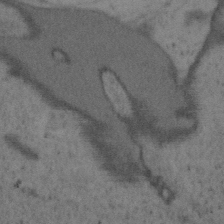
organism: Human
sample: HeLa cells